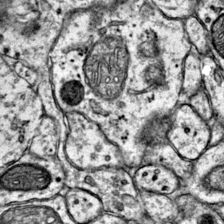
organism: Mouse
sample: Primary visual cortex